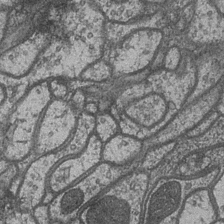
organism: Drosophila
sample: Optic medulla